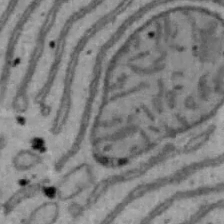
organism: Mouse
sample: Liver